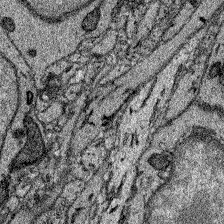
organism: Zebrafish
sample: Larval olfactory bulb